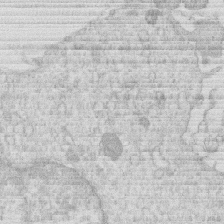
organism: Human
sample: Macrophage cells